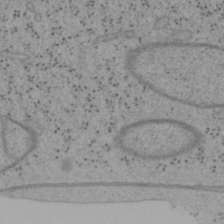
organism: Human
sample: HeLa cells